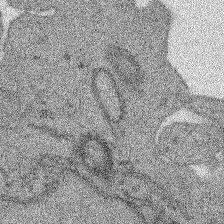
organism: Human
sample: HeLa cells